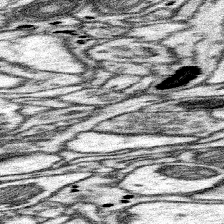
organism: Mouse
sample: Somatosensory cortex neuropil